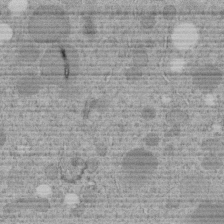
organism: C. elegans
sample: C. elegans embryo early stage